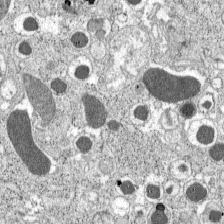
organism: C57BL Mouse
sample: Pancreatic islet